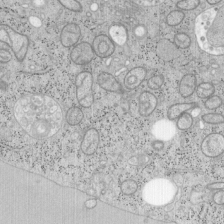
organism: Mouse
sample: OT-I killer T cells with ID8 ovarian cancer cells